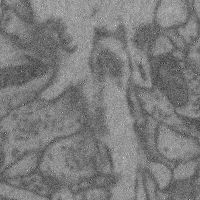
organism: Mouse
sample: Cerebral cortex